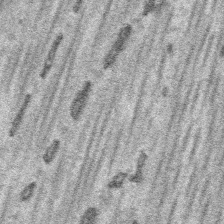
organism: Platynereis dumerilii